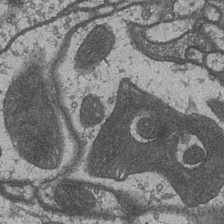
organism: Drosophila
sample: Optic medulla